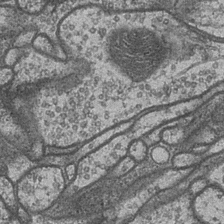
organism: Drosophila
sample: Optic medulla